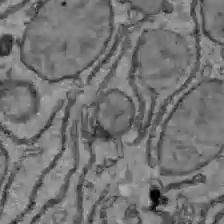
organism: C57BL Mouse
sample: Liver